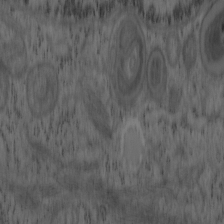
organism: Human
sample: HeLa cells